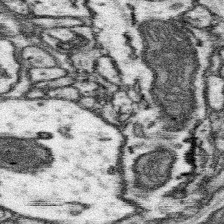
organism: Mouse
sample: Somatosensory cortex neuropil